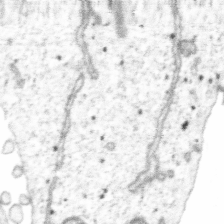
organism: Human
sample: HeLa cells